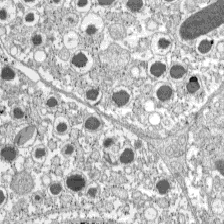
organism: C57BL Mouse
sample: Pancreatic islet